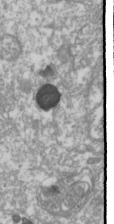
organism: Drosophila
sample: Cell division; meiosis; drosophila spermatocytes